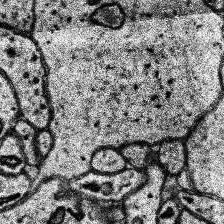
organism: Human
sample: Temporal Lobe